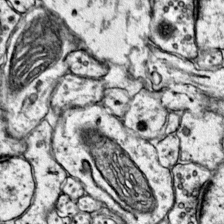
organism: Mouse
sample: Primary visual cortex